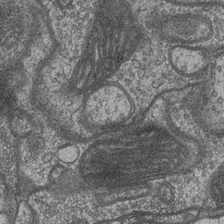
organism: Drosophila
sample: Optic medulla